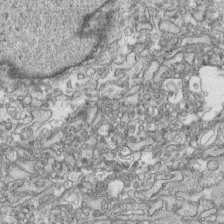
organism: Human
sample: CRL-1474